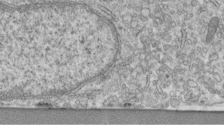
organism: Human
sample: Centriole in fibroblast cells